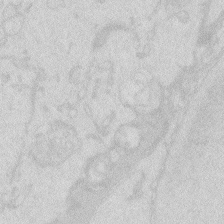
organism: Zebrafish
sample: Macrophage